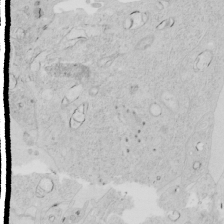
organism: Human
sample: Mitochondria in HCT116 cells